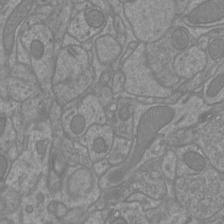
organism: Mouse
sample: Cortical neurons